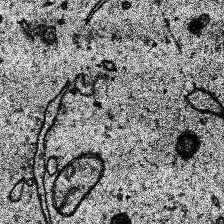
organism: Human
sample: Temporal Lobe